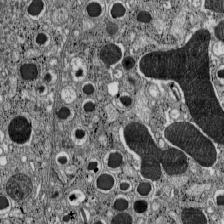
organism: C57BL Mouse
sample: Pancreatic islet